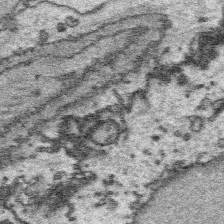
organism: Platynereis dumerilii